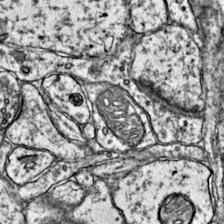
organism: Mouse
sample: Primary visual cortex